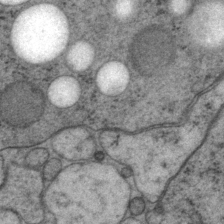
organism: P. pacificus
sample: Pharynx